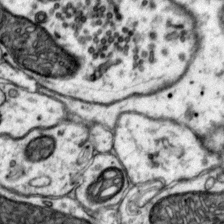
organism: Mouse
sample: Primary visual cortex